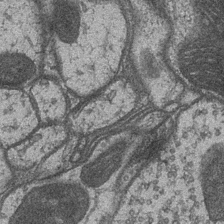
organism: Drosophila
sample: Optic medulla